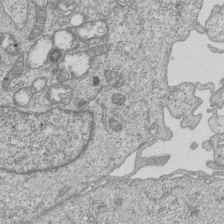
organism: Human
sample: MDA-MB-231 cells